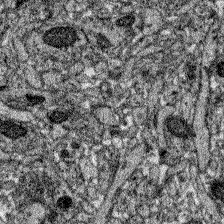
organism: Zebrafish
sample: Larval olfactory bulb